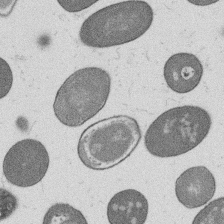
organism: B. subtilis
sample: Bacterial spore